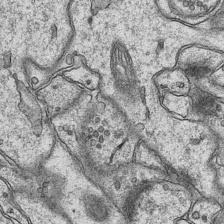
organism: Mouse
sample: CA1 Hippocampus